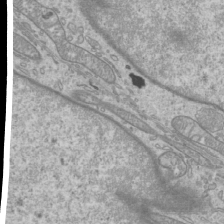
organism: Mouse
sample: Cilia; mouse epididymis